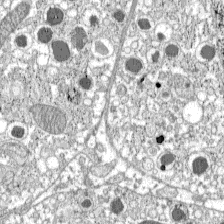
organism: C57BL Mouse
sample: Pancreatic islet